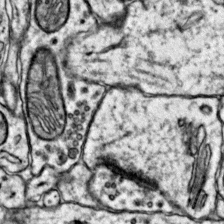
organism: Mouse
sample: Primary visual cortex